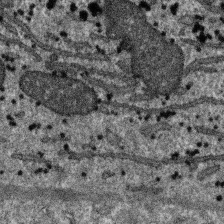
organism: Human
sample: Lung epithelial cells infected with SARS-CoV-2